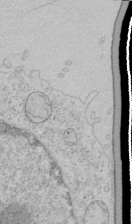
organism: Human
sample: Mitochondria in HCT116 cells